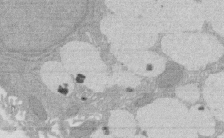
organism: Rat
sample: Salivary granule